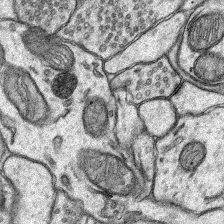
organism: Rat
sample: Hippocampus